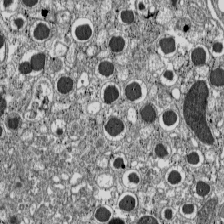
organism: C57BL Mouse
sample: Pancreatic islet